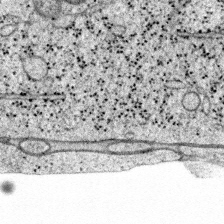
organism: Human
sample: HeLa cells